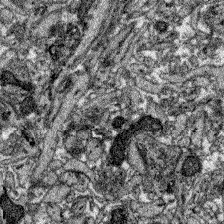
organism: Zebrafish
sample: Larval olfactory bulb